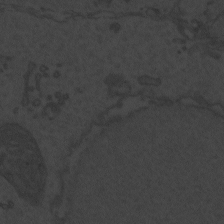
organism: Zebrafish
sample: Macrophage infected with Toxoplasma gondii